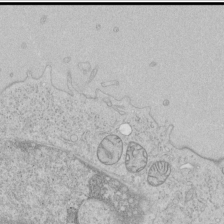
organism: Human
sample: Mitochondria in HCT116 cells